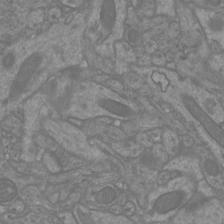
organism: Mouse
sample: Cortical neurons